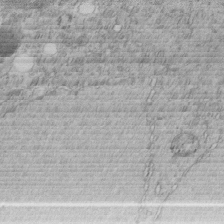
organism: C. elegans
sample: C. elegans embryo early stage